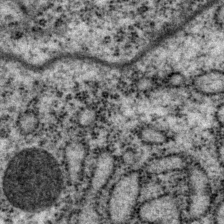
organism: P. pacificus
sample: Pharynx